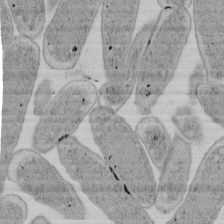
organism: E. coli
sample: Bacterial nucleoid